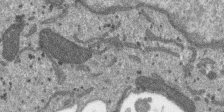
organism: Human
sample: Lung epithelial cells infected with SARS-CoV-2